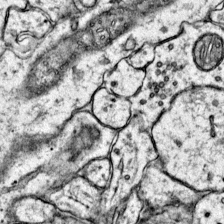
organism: Mouse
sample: Primary visual cortex